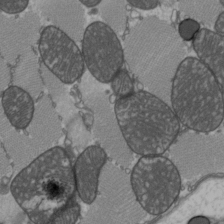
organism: C57BL Mouse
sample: Heart